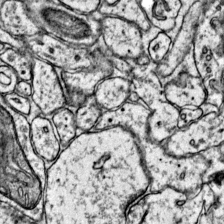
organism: Mouse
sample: Primary visual cortex